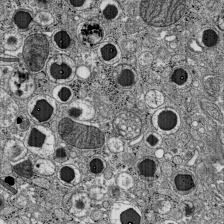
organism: C57BL Mouse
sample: Pancreatic islet